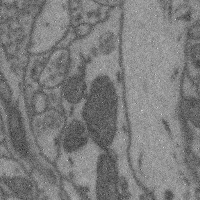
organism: Mouse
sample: Cerebral cortex